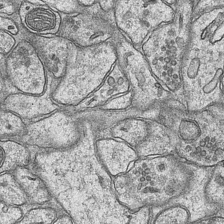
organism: Mouse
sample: CA1 Hippocampus